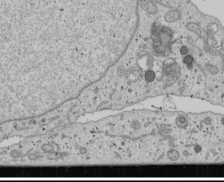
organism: Human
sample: Mitochondria in U2OS cells